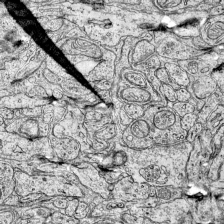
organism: Mouse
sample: Visual Cortex